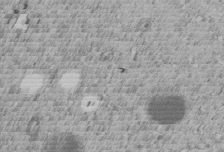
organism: C. elegans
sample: C. elegans embryo early stage